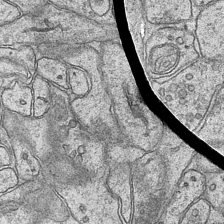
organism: Mouse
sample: CA1 Hippocampus